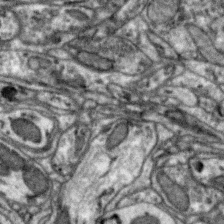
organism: Zebra finch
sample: Brain